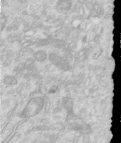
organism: Human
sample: Centriole in RPE cells